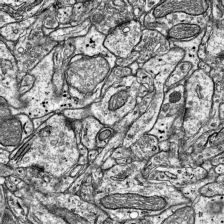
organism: Mouse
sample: Visual Cortex